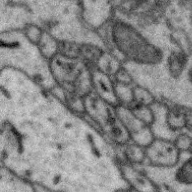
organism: Zebra finch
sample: Brain